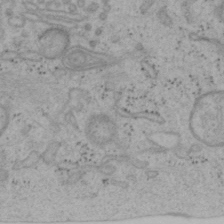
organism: Human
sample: HeLa cells